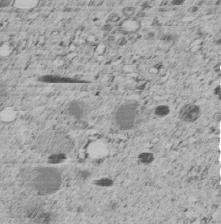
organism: C. elegans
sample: C. elegans embryo early stage